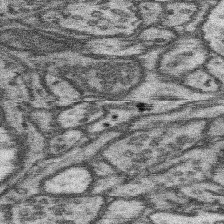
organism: Mouse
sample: Somatosensory cortex neuropil